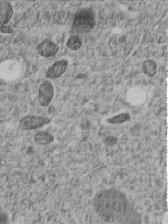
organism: C. elegans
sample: C. elegans embryo early stage